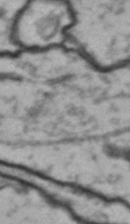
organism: Drosophila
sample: Brain